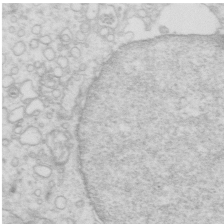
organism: Mouse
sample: Multiciliated cells